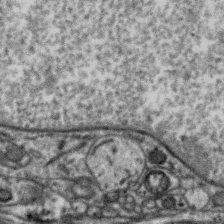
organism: Zebra finch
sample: Brain